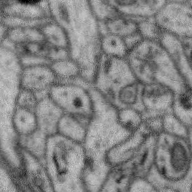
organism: Zebra finch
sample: Brain